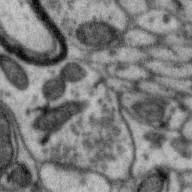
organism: Zebra finch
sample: Brain